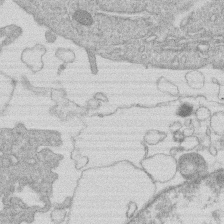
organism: Human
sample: Macrophage cells